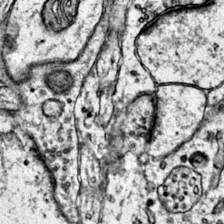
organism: Mouse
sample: Primary visual cortex